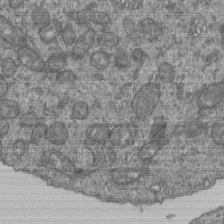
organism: Human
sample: Retinal organoid Rod and Cone cells